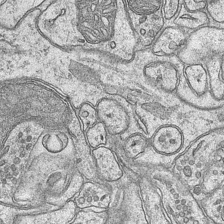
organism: Mouse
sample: CA1 Hippocampus